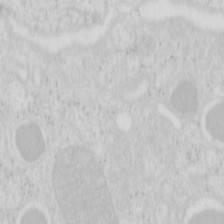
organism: Mouse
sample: Pancreas